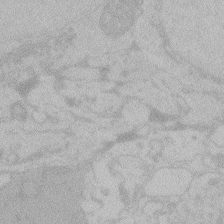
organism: Zebrafish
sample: Macrophage infected with Toxoplasma gondii